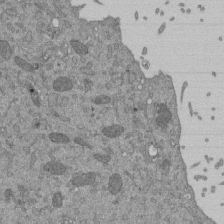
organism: Mouse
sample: ED-1 cell nuclei; centrioles